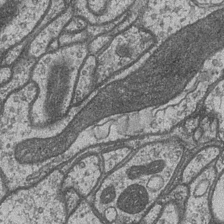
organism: Drosophila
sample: Optic medulla